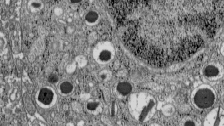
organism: C57BL Mouse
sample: Pancreatic islet